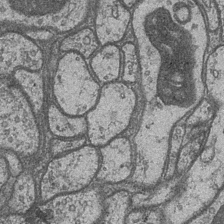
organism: Drosophila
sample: Optic medulla